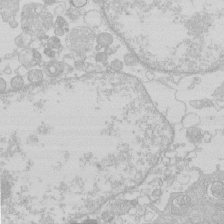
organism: Human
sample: Macrophage cells